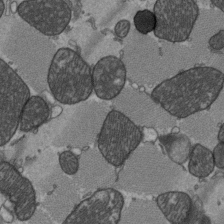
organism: C57BL Mouse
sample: Heart